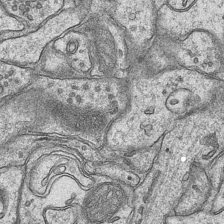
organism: Mouse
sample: CA1 Hippocampus